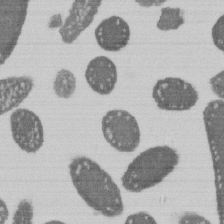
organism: E. coli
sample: Bacterial nucleoid